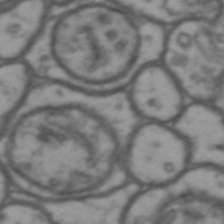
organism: Drosophila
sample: Brain